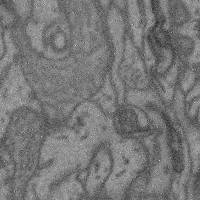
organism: Mouse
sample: Cerebral cortex